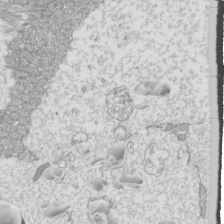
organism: Mouse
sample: Cilia; mouse epididymis